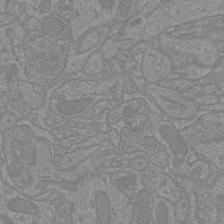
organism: Mouse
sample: Cortical neurons